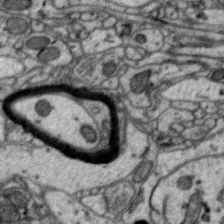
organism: Zebra finch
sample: Brain